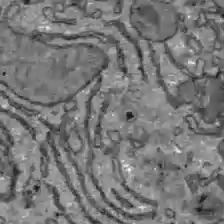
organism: C57BL Mouse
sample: Liver